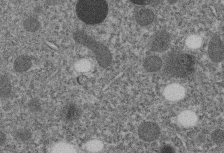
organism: C. elegans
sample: C. elegans embryo early stage